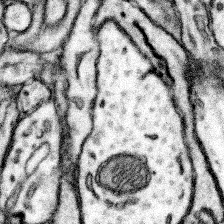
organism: Mouse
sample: Somatosensory cortex neuropil